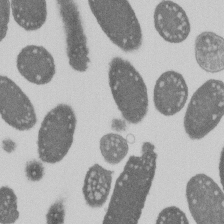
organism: E. coli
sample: Bacterial nucleoid